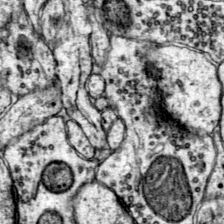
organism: Mouse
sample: Primary visual cortex